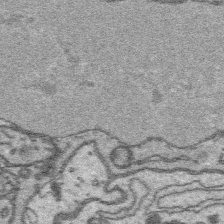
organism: Platynereis dumerilii